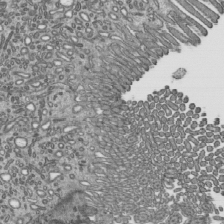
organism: Mouse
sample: Mouse epididymis efferent ductule cilia